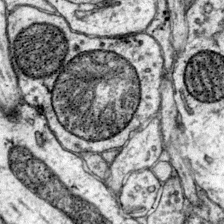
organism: Mouse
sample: Primary visual cortex